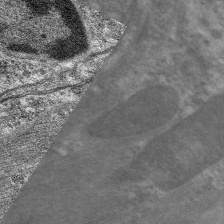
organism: C. elegans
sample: Pharynx